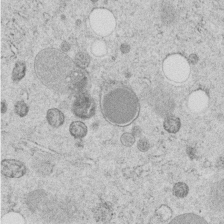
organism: C. elegans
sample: C. elegans embryo early stage